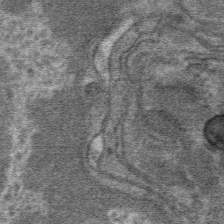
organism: Mouse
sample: Mouse hepatocytes